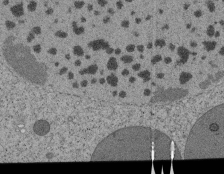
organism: Tetrahymena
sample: Cilia in tetrahymena